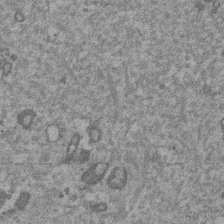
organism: Mouse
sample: Dividing mouse embryo 1 cell stage